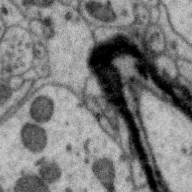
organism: Zebra finch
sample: Brain